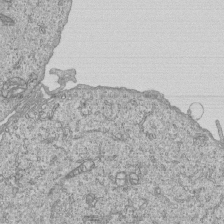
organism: Human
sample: MDA-MB-231 cells